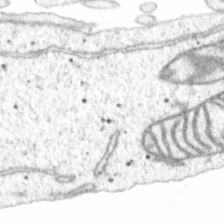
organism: Human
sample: HeLa cells